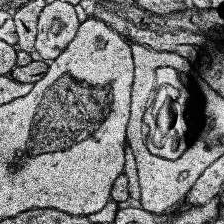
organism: Human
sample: Temporal Lobe